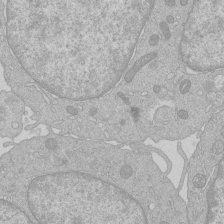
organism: Human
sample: Macrophage cells